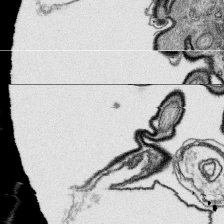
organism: Platynereis dumerilii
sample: Parapodia